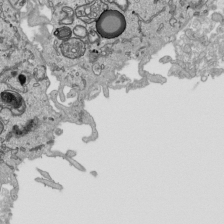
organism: Human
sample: Mitochondria in HCT116 cells